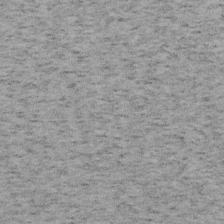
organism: Mouse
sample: OT-I killer T cells with ID8 ovarian cancer cells